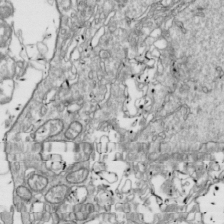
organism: Drosophila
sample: Cell division; meiosis; drosophila spermatocytes